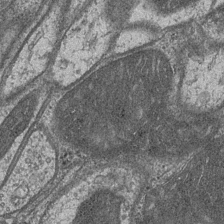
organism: Drosophila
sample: Optic medulla